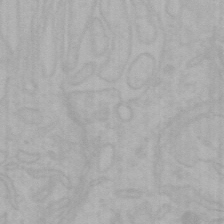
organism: Mouse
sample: Choroid plexus